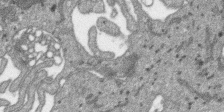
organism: Human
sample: Lung epithelial cells infected with SARS-CoV-2